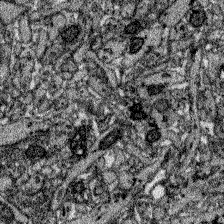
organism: Zebrafish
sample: Larval olfactory bulb